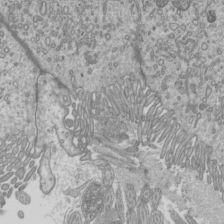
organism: Mouse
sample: Cilia; mouse epididymis